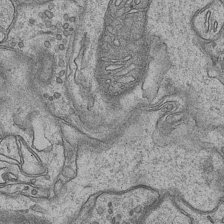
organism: Mouse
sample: CA1 Hippocampus